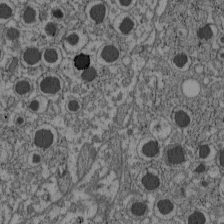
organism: C57BL Mouse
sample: Pancreatic islet